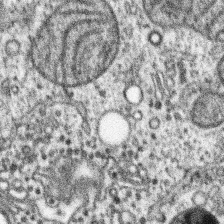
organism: Human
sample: HeLa cells